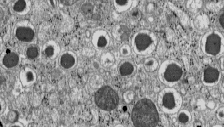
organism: C57BL Mouse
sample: Pancreatic islet